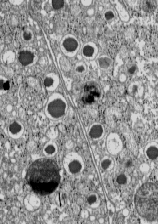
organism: C57BL Mouse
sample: Pancreatic islet